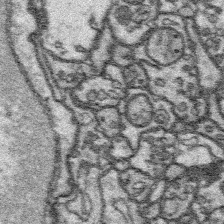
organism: Platynereis dumerilii